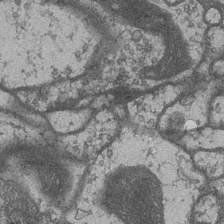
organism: Drosophila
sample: Optic medulla